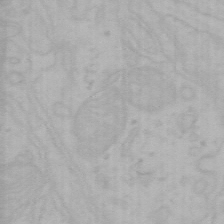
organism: Mouse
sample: Choroid plexus